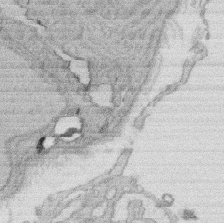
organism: Rat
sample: Salivary granule